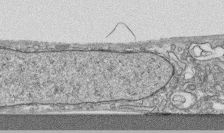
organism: Human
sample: CRL-1474